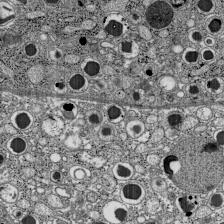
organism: C57BL Mouse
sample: Pancreatic islet